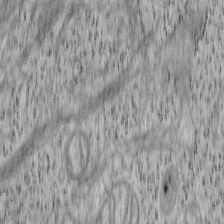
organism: Human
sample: HeLa cells